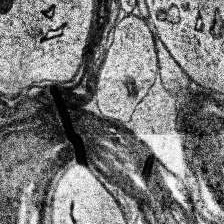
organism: Human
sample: Temporal Lobe